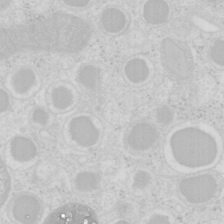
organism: Mouse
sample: Pancreas